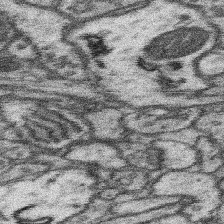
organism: Mouse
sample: Somatosensory cortex neuropil